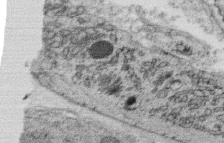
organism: C. elegans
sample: C. elegans oocyte; sperm cells